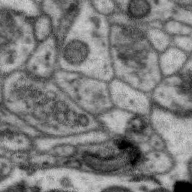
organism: Zebra finch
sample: Brain